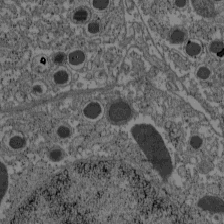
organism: C57BL Mouse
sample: Pancreatic islet